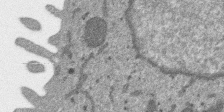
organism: Human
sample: Lung epithelial cells infected with SARS-CoV-2